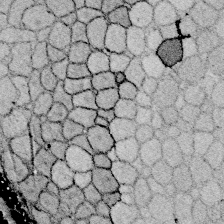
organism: Zebrafish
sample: Whole-Brain